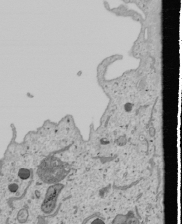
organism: Human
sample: Mitochondria in U2OS cells